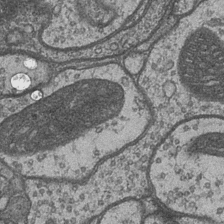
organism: Drosophila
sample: Optic medulla